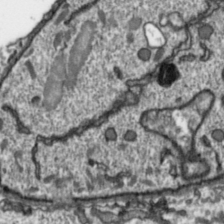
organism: Toxoplasma gondii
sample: Parasites in a vacuole inside a host cell